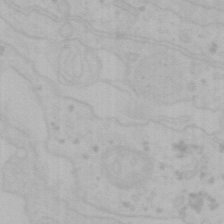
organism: Mouse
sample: Choroid plexus